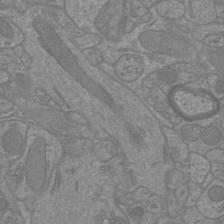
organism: Mouse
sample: Cortical neurons